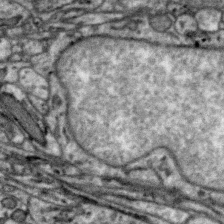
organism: Zebra finch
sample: Brain